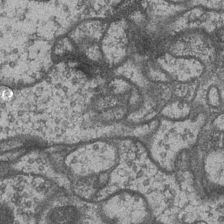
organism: Drosophila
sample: Optic medulla